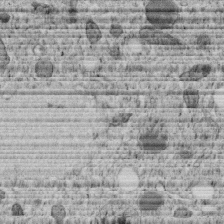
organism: C. elegans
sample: C. elegans embryo early stage